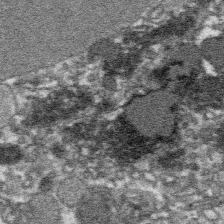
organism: Platynereis dumerilii